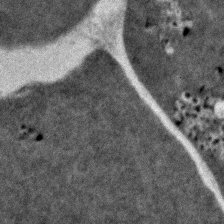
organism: Zebrafish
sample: Zebrafish embryo